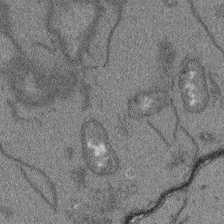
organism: Arabidopsis thaliana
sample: Root tip